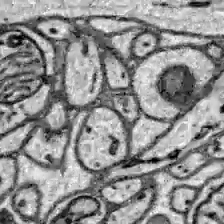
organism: Zebrafish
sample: Brain